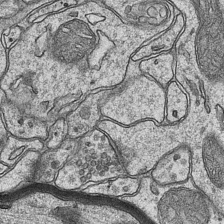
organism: Mouse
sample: CA1 Hippocampus